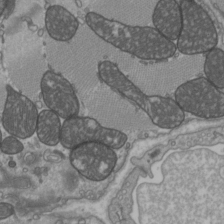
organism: C57BL Mouse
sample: Heart